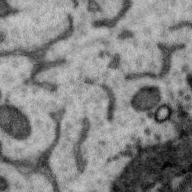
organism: Zebra finch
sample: Brain